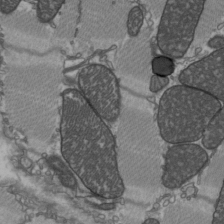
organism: C57BL Mouse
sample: Heart